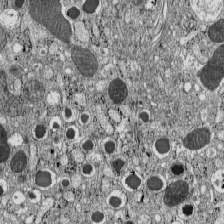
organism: C57BL Mouse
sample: Pancreatic islet